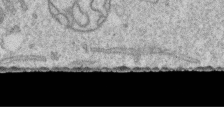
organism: Human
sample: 1205lu cells